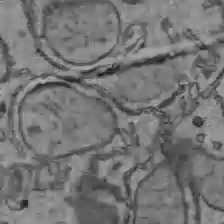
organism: C57BL Mouse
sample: Liver